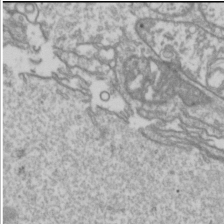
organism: Drosophila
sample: Cell division; meiosis; drosophila spermatocytes